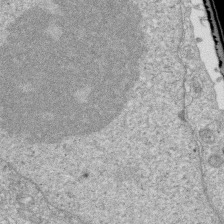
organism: Human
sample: HeLa cell HIV synapse